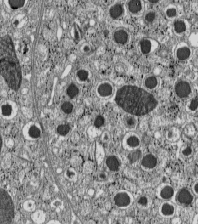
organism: C57BL Mouse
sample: Pancreatic islet